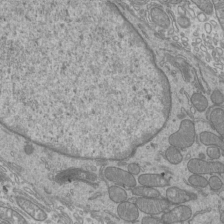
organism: Mouse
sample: Cilia; mouse epididymis